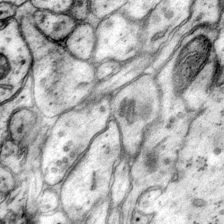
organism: Mouse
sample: Primary visual cortex